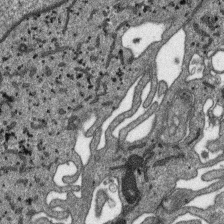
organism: Human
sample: Lung epithelial cells infected with SARS-CoV-2